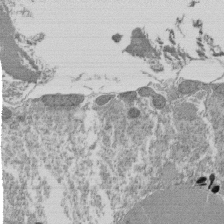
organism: Tetrahymena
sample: Cilia in tetrahymena